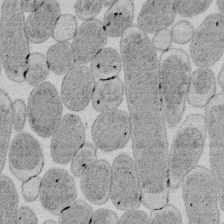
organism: E. coli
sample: Bacterial nucleoid